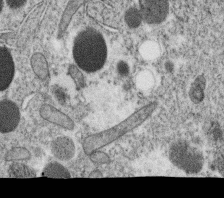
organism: C. elegans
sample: C. elegans oocyte; sperm cells